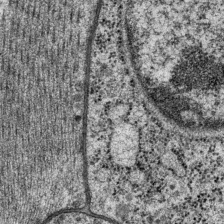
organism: P. pacificus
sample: Pharynx